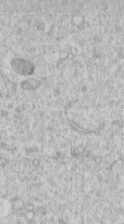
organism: Human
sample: Centriole in RPE cells